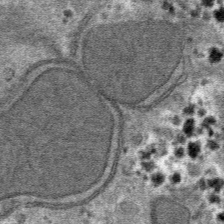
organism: Mouse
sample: Mouse hepatocytes